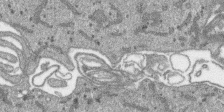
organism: Human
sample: Lung epithelial cells infected with SARS-CoV-2